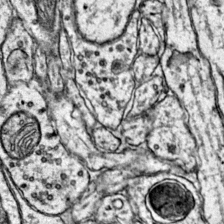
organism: Mouse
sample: Primary visual cortex